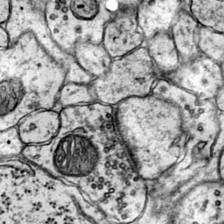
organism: Mouse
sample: Primary visual cortex